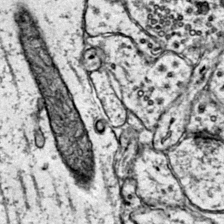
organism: Mouse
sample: Primary visual cortex